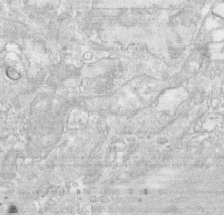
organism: Human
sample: CRL-1474